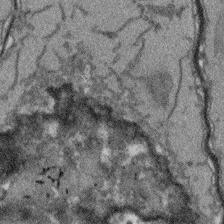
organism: Arabidopsis thaliana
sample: Root tip